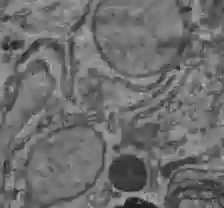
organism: C57BL Mouse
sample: Liver